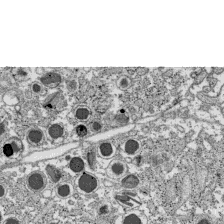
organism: C57BL Mouse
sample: Pancreatic islet